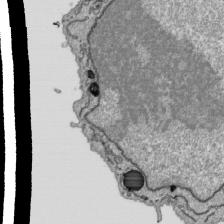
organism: Human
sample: Mitochondria in HCT116 cells